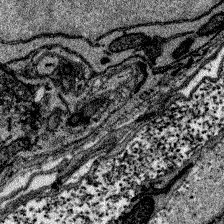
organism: Zebrafish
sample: Larval olfactory bulb